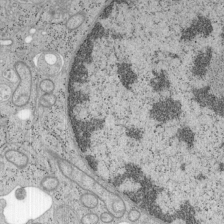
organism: Mouse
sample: OT-I killer T cells with ID8 ovarian cancer cells